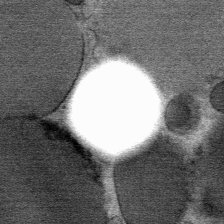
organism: Mouse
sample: Mouse Salivary gland